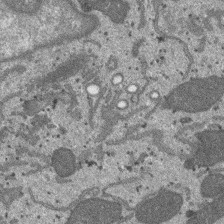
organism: Human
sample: Lung epithelial cells infected with SARS-CoV-2